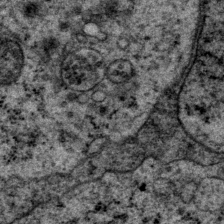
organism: P. pacificus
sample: Pharynx